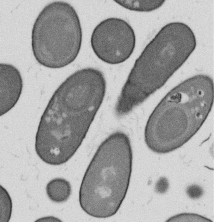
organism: B. subtilis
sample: Bacterial spore